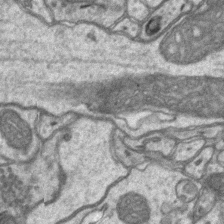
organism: Mouse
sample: CA1 Hippocampus